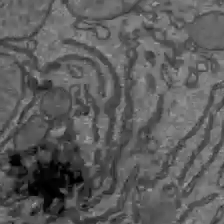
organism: C57BL Mouse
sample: Liver